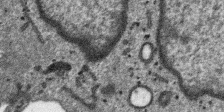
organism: Human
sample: Lung epithelial cells infected with SARS-CoV-2